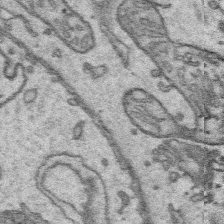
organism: Platynereis dumerilii